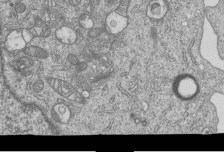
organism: Human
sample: MDA-MB-231 cells